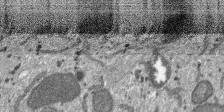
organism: Human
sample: Lung epithelial cells infected with SARS-CoV-2